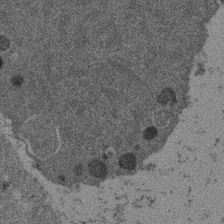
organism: Mouse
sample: Dividing mouse embryo 1 cell stage